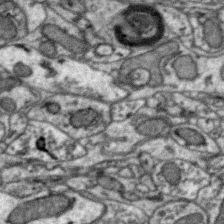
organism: Zebra finch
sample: Brain